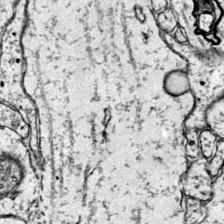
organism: Mouse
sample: Primary visual cortex